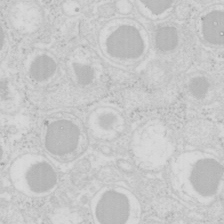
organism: Mouse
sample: Pancreas